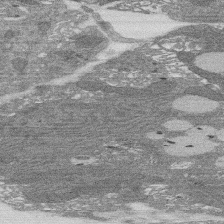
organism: Rat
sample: Salivary granule